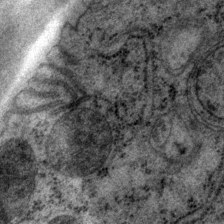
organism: P. pacificus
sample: Pharynx